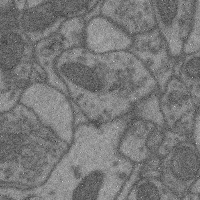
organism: Mouse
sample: Cerebral cortex